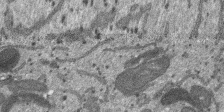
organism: Human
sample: Lung epithelial cells infected with SARS-CoV-2